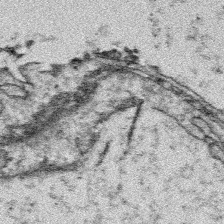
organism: Platynereis dumerilii